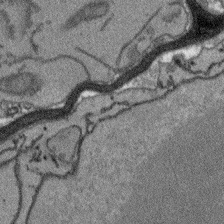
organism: Arabidopsis thaliana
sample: Root tip